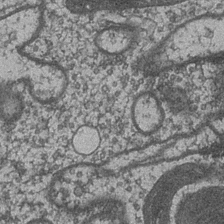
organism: Drosophila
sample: Optic medulla